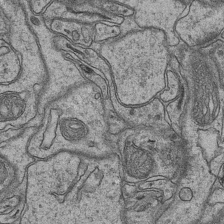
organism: Mouse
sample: CA1 Hippocampus